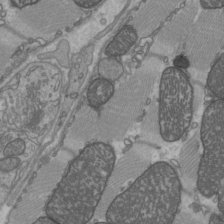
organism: C57BL Mouse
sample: Heart